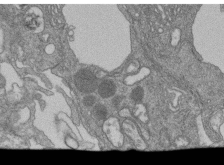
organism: Human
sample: Retinal organoid Rod and Cone cells